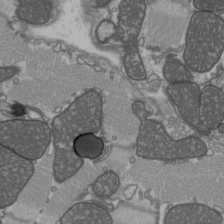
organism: C57BL Mouse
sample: Heart